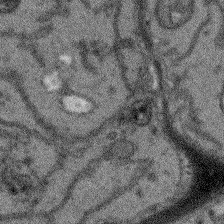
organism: Arabidopsis thaliana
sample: Root tip